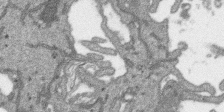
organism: Human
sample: Lung epithelial cells infected with SARS-CoV-2